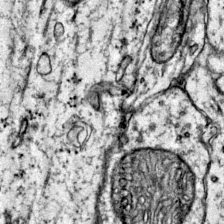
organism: Mouse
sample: Primary visual cortex